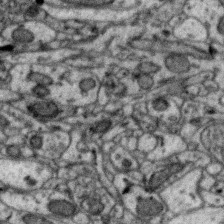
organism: Zebra finch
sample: Brain